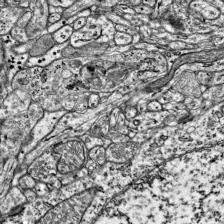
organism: Mouse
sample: Visual Cortex